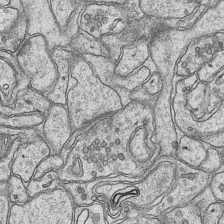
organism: Mouse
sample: CA1 Hippocampus